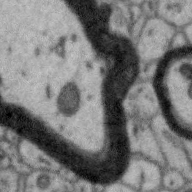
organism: Zebra finch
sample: Brain